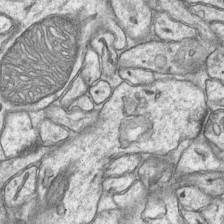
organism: Mouse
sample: CA1 Hippocampus